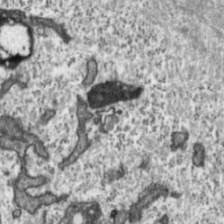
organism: Toxoplasma gondii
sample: Parasites in a vacuole inside a host cell